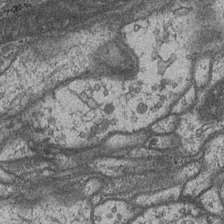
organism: Drosophila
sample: Optic medulla